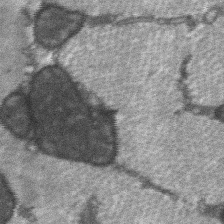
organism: C57BL Mouse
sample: Soleus